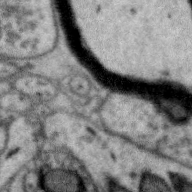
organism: Zebra finch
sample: Brain